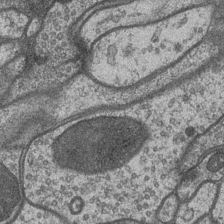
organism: Drosophila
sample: Optic medulla